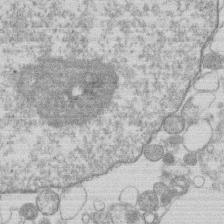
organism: Human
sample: Macrophage cells